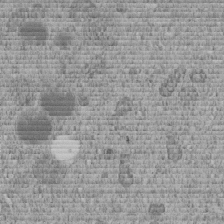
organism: C. elegans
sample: C. elegans embryo early stage